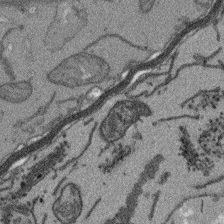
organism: Arabidopsis thaliana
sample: Root tip